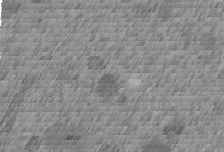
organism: C. elegans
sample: C. elegans embryo early stage